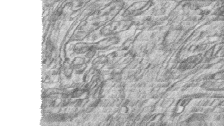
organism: Zebrafish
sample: synaptic ribbons in rod cells and cone cells